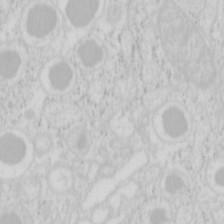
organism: Mouse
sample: Pancreas